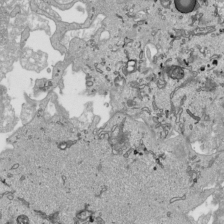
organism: Human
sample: Mitochondria in HCT116 cells